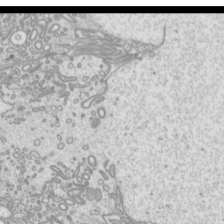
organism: Mouse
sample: Cilia; mouse epididymis